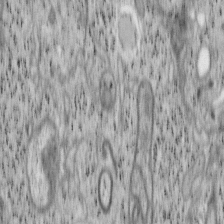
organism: Human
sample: HeLa cells